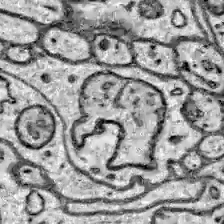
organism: Zebrafish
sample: Brain